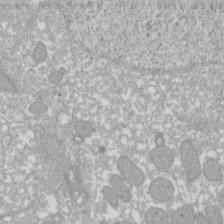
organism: Xenopus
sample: Cilia; centrioles in frog embryo cells